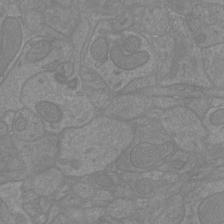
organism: Mouse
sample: Cortical neurons